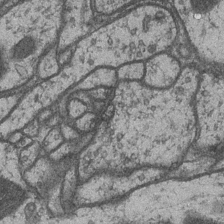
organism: Drosophila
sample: Optic medulla